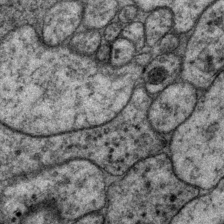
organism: P. pacificus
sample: Pharynx